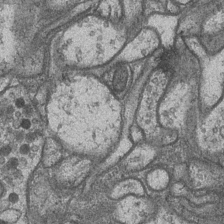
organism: Drosophila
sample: Optic medulla